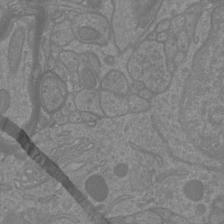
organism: Mouse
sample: Cortical neurons